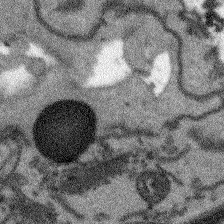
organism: Arabidopsis thaliana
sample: Root tip